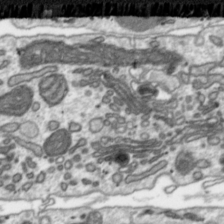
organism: Toxoplasma gondii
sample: Parasites in a vacuole inside a host cell